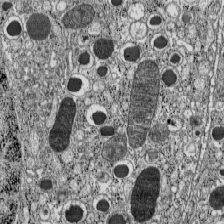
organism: C57BL Mouse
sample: Pancreatic islet